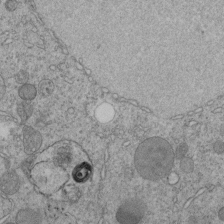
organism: C. elegans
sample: C. elegans embryo early stage